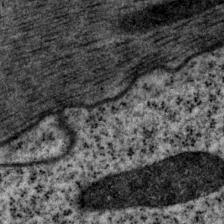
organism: P. pacificus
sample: Pharynx